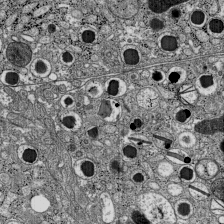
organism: C57BL Mouse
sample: Pancreatic islet